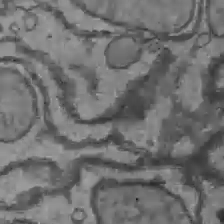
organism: C57BL Mouse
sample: Liver